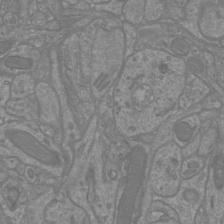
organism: Mouse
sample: Cortical neurons